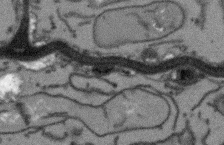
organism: Arabidopsis thaliana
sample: Root tip